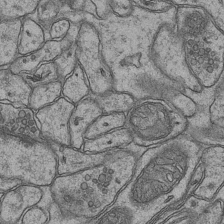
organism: Mouse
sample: CA1 Hippocampus